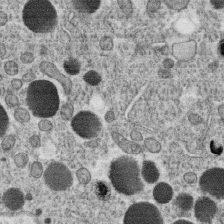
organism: C. elegans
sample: C. elegans oocyte; sperm cells